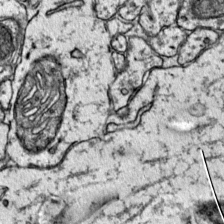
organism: Mouse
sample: Primary visual cortex